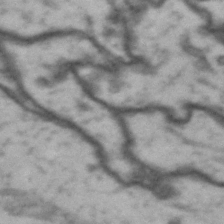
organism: Drosophila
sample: Brain